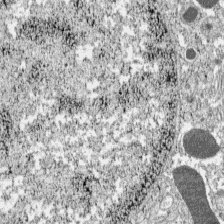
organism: C57BL Mouse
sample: Pancreatic islet